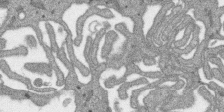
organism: Human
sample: Lung epithelial cells infected with SARS-CoV-2